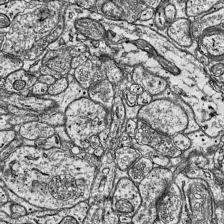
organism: Mouse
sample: Visual Cortex